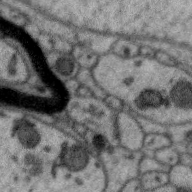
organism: Zebra finch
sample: Brain